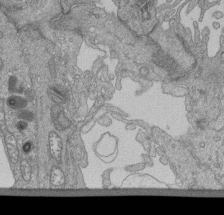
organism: Human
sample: Retinal organoid Rod and Cone cells